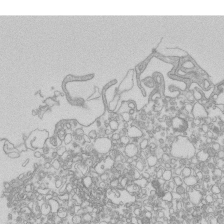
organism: Mouse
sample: Macrophages